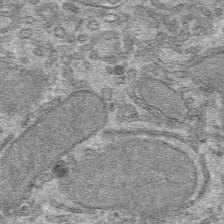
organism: Mouse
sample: Mouse hepatocytes